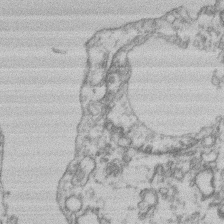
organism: Mouse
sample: T cell stromal cell synapse